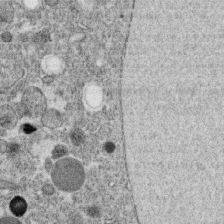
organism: C. elegans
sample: C. elegans oocyte; sperm cells